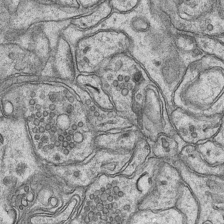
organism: Mouse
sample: CA1 Hippocampus